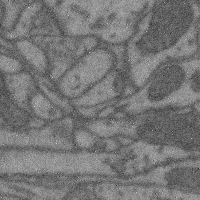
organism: Mouse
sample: Cerebral cortex